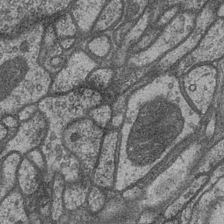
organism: Drosophila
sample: Optic medulla